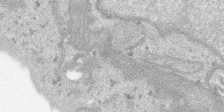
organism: Human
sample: Lung epithelial cells infected with SARS-CoV-2